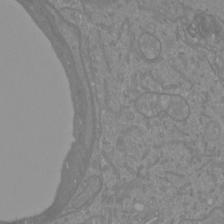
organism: Mouse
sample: Cortical neurons